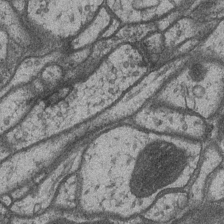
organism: Drosophila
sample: Optic medulla